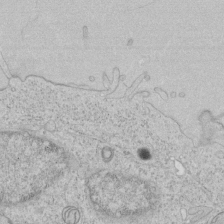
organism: Human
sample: Mitochondria in HCT116 cells